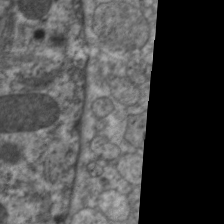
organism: C. elegans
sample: Pharynx